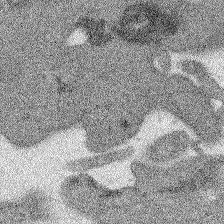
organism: Human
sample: HeLa cells